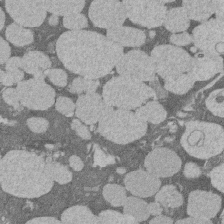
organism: Rat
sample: Salivary granule